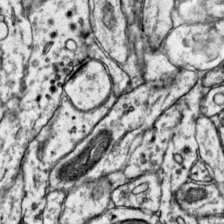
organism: Mouse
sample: Primary visual cortex